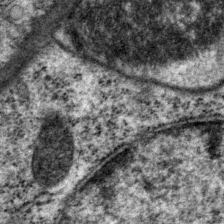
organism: P. pacificus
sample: Pharynx